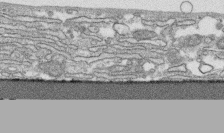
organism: Human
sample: CRL-1474